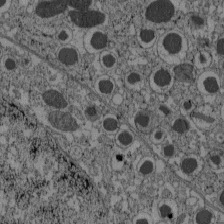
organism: C57BL Mouse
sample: Pancreatic islet